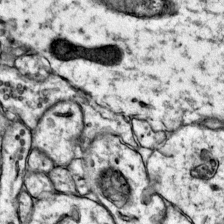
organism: Mouse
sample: Primary visual cortex